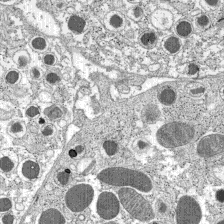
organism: C57BL Mouse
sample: Pancreatic islet